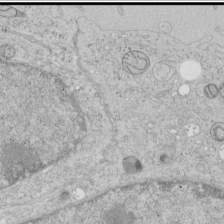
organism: Human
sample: Mitochondria in HCT116 cells